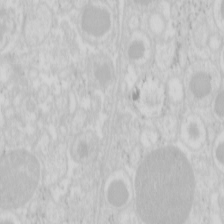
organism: Mouse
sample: Pancreas